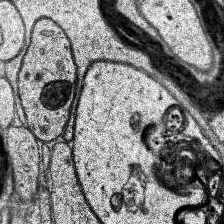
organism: Human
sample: Temporal Lobe